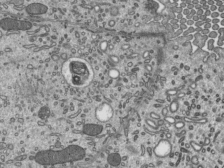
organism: Mouse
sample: Mouse epididymis efferent ductule cilia